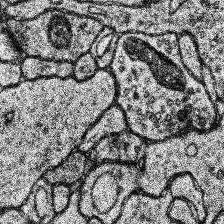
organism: Human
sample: Temporal Lobe